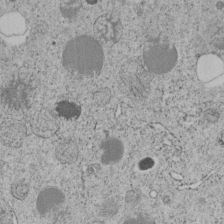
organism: C. elegans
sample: C. elegans embryo early stage